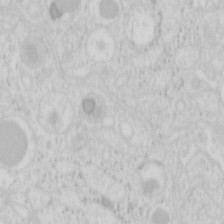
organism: Mouse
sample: Pancreas